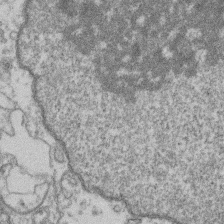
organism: Mouse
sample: T cell stromal cell synapse